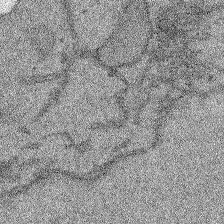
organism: Human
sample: HeLa cells